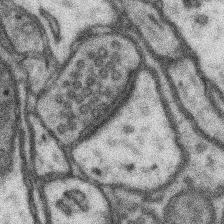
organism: Mouse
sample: Somatosensory cortex neuropil